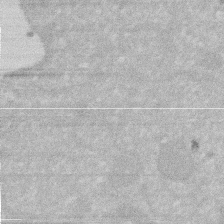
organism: Human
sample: HIV infected U937 cells